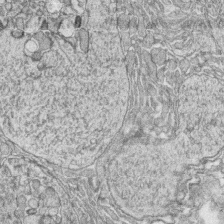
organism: Zebrafish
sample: synaptic ribbons in rod cells and cone cells